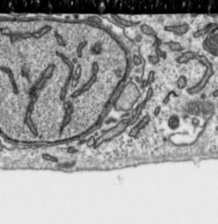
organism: Toxoplasma gondii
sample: Parasites in a vacuole inside a host cell